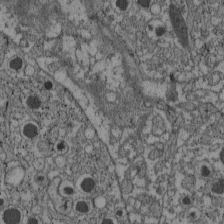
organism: C57BL Mouse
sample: Pancreatic islet